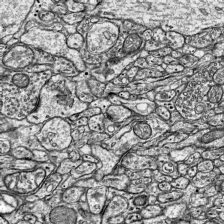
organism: Mouse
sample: Visual Cortex